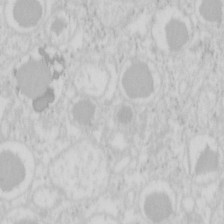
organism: Mouse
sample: Pancreas